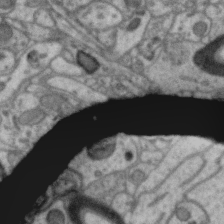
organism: Zebra finch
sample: Brain